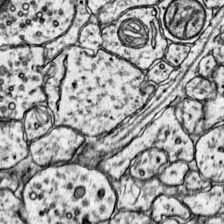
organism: Mouse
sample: Primary visual cortex